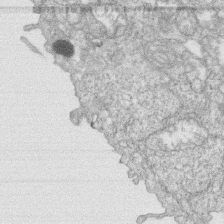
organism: Human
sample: HeLa cell HIV synapse